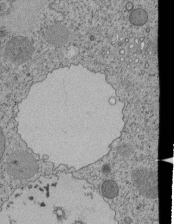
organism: Tetrahymena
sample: Cilia in tetrahymena